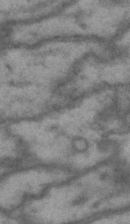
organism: Drosophila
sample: Brain